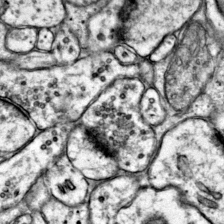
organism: Mouse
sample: Primary visual cortex